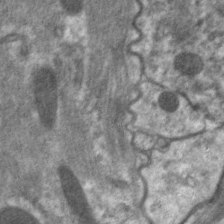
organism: C. elegans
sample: Pharynx